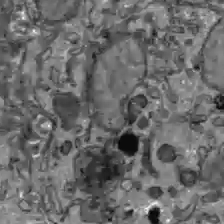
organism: C57BL Mouse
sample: Liver